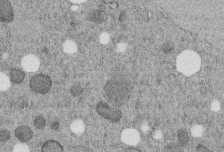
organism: C. elegans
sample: C. elegans embryo early stage